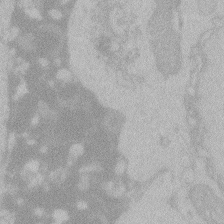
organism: Zebrafish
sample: Macrophage infected with Toxoplasma gondii